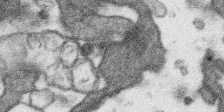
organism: Human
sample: Lung epithelial cells infected with SARS-CoV-2